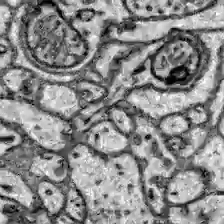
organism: Zebrafish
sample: Brain